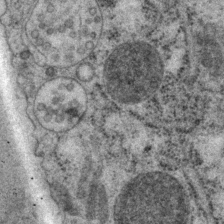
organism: P. pacificus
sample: Pharynx